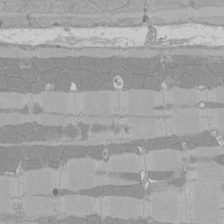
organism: Rat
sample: Left ventricle